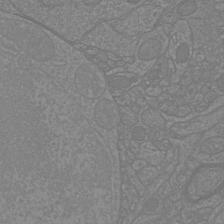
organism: Mouse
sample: Cortical neurons